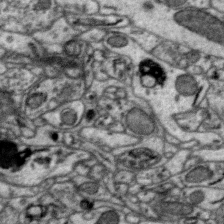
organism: Zebra finch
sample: Brain